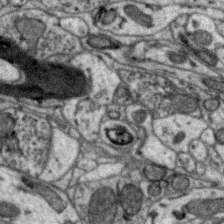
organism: Zebra finch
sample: Brain